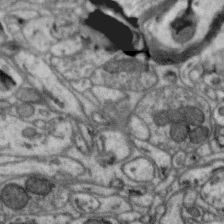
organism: Zebra finch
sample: Brain